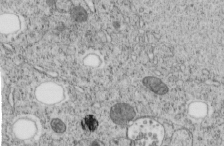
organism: C. elegans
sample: C. elegans embryo early stage